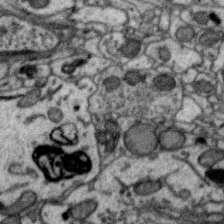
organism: Zebra finch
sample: Brain